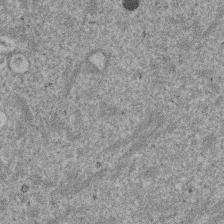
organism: Mouse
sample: Dividing mouse embryo 1 cell stage